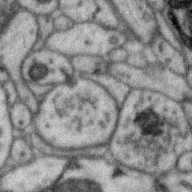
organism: Zebra finch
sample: Brain